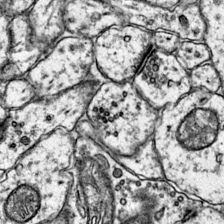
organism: Mouse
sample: Primary visual cortex